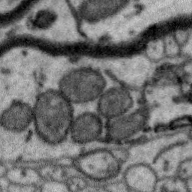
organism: Zebra finch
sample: Brain